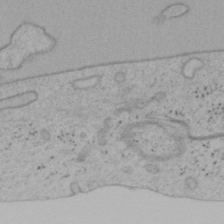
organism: Human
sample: HeLa cells